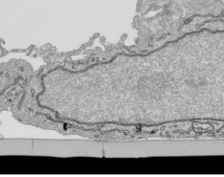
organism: Human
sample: Mitochondria in HCT116 cells